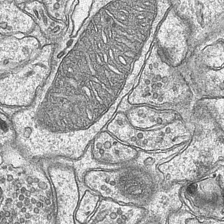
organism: Mouse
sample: CA1 Hippocampus